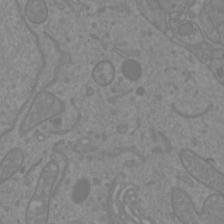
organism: Mouse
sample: Cortical neurons